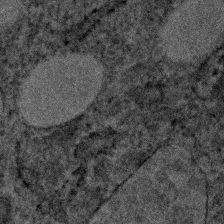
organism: Human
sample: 1205lu cells